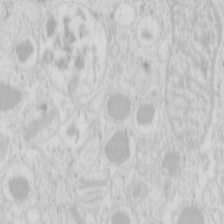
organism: Mouse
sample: Pancreas